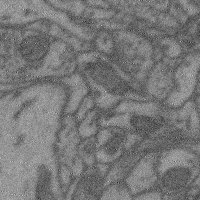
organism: Mouse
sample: Cerebral cortex